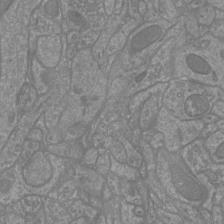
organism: Mouse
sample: Cortical neurons